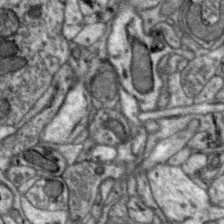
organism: Zebra finch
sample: Brain